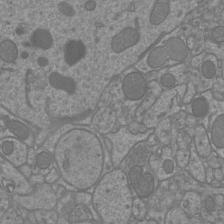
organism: Mouse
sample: Cortical neurons